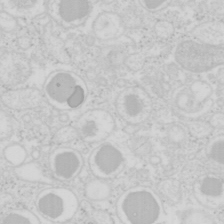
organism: Mouse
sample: Pancreas